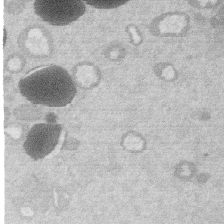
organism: Mouse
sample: Dividing mouse embryo 1 cell stage